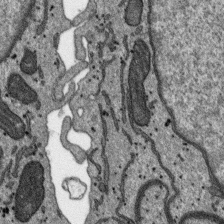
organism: Human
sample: Lung epithelial cells, uninfected (mock) control